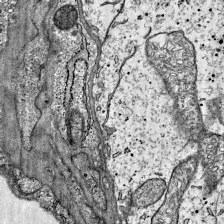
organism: Mouse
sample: Visual Cortex